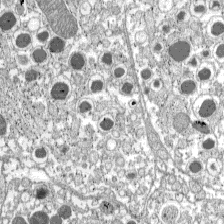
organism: C57BL Mouse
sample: Pancreatic islet